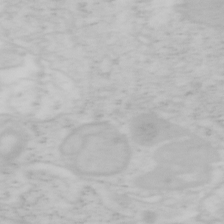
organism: Mouse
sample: OT-I killer T cells with ID8 ovarian cancer cells